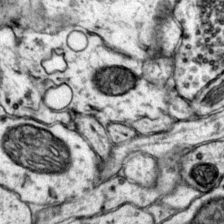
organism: Mouse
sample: Primary visual cortex